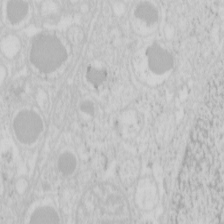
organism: Mouse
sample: Pancreas